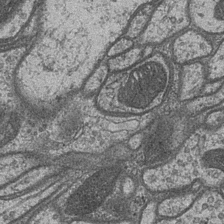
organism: Drosophila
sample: Optic medulla